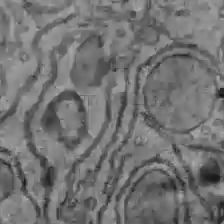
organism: C57BL Mouse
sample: Liver